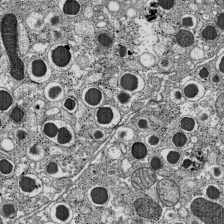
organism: C57BL Mouse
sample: Pancreatic islet